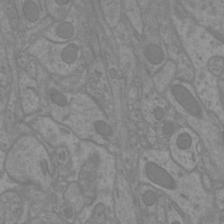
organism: Mouse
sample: Cortical neurons